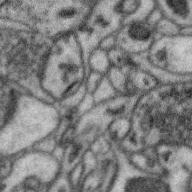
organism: Zebra finch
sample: Brain